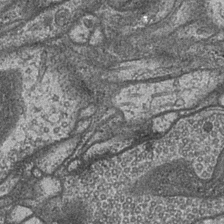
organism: Drosophila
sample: Optic medulla